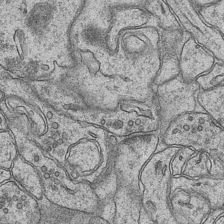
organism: Mouse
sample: CA1 Hippocampus